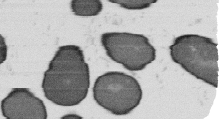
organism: B. subtilis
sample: Bacterial spore